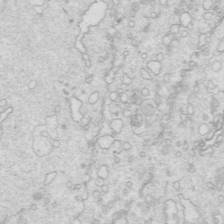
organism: Mouse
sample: Multiciliated cells